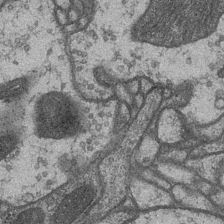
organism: Drosophila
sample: Optic medulla